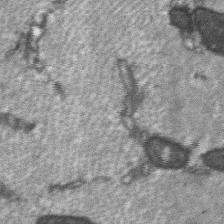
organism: C57BL Mouse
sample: Soleus